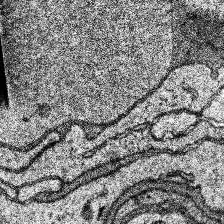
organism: Human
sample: Temporal Lobe